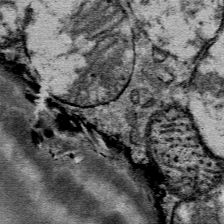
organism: Mouse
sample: Mouse Salivary gland